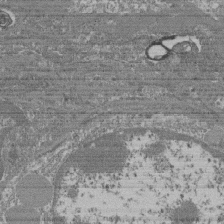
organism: Mouse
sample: Glomerulus